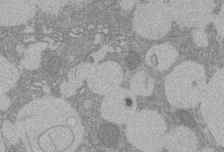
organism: Rat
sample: Salivary granule